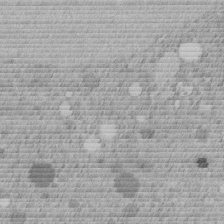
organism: C. elegans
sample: C. elegans embryo early stage